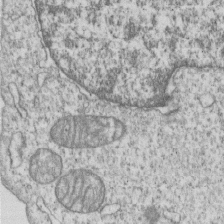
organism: Human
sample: MDA-MB-231 cells